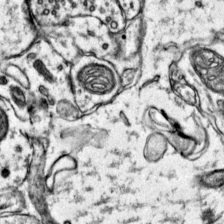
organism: Mouse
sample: Primary visual cortex